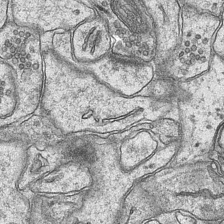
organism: Mouse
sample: CA1 Hippocampus